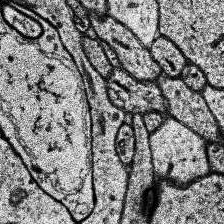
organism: Human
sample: Temporal Lobe